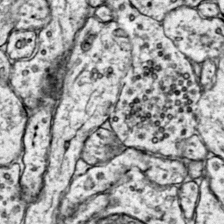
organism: Mouse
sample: Primary visual cortex